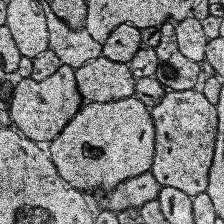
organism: Human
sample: Temporal Lobe